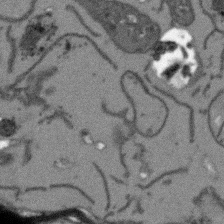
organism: Arabidopsis thaliana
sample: Root tip